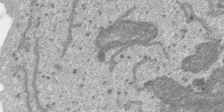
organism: Human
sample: Lung epithelial cells infected with SARS-CoV-2